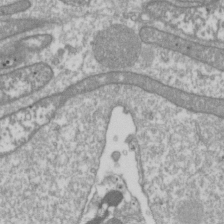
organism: Drosophila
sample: Cell division; meiosis; drosophila spermatocytes